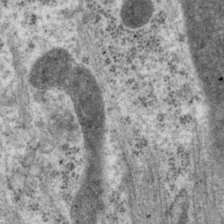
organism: P. pacificus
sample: Pharynx